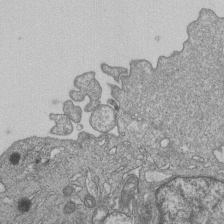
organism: Human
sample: MDA-MB-231 cells